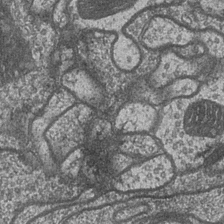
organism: Drosophila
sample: Optic medulla